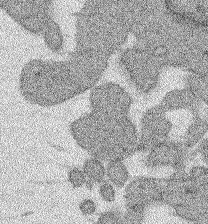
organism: Human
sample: HeLa cells